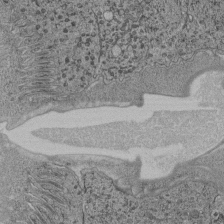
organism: C. elegans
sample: C. elegans pharynx